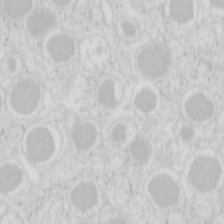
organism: Mouse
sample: Pancreas